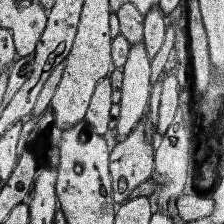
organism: Human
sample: Temporal Lobe